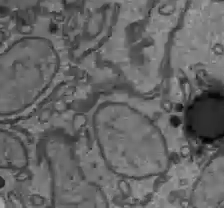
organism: C57BL Mouse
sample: Liver